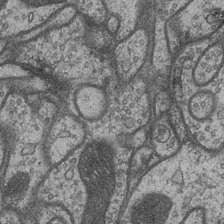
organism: Drosophila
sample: Optic medulla